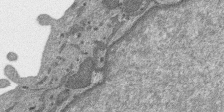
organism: Human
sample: Lung epithelial cells infected with SARS-CoV-2